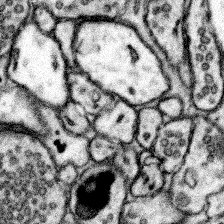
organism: Mouse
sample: Somatosensory cortex neuropil